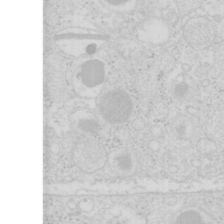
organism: Mouse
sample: Pancreas